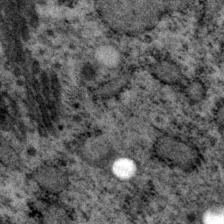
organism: P. pacificus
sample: Pharynx